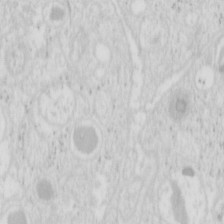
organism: Mouse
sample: Pancreas